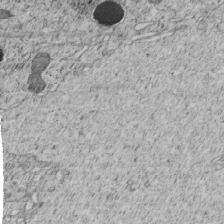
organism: C. elegans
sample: C. elegans embryo early stage